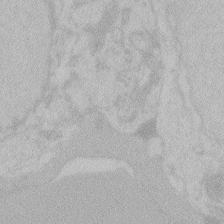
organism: Zebrafish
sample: Macrophage infected with Toxoplasma gondii